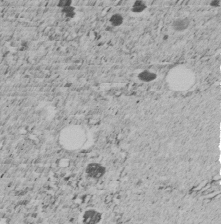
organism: C. elegans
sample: C. elegans embryo early stage